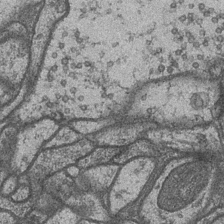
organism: Drosophila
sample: Optic medulla